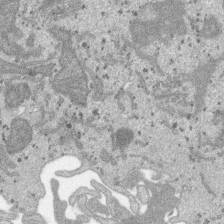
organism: Human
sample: Lung epithelial cells infected with SARS-CoV-2